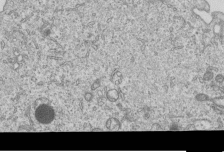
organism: Human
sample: MDA-MB-231 cells